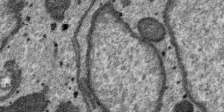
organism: Human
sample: Lung epithelial cells, uninfected (mock) control